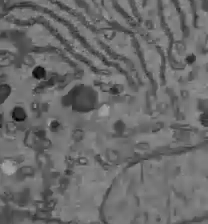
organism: C57BL Mouse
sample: Liver